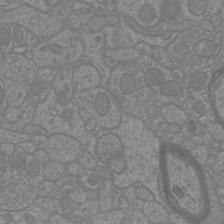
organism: Mouse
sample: Cortical neurons